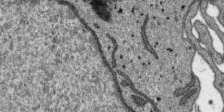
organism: Human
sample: Lung epithelial cells, uninfected (mock) control